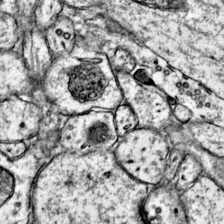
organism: Mouse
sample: Primary visual cortex